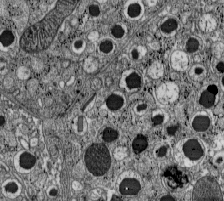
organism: C57BL Mouse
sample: Pancreatic islet